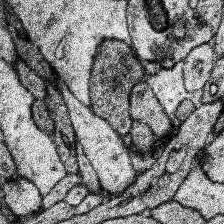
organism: Human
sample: Temporal Lobe